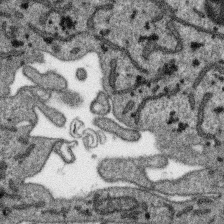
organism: Human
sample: Lung epithelial cells infected with SARS-CoV-2